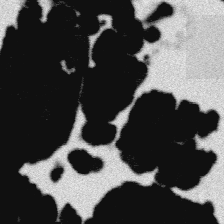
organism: Platynereis dumerilii